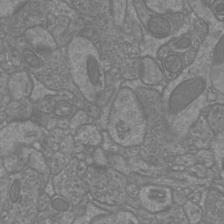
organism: Mouse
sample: Cortical neurons